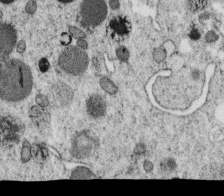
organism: C. elegans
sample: C. elegans oocyte; sperm cells